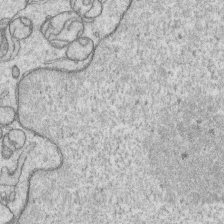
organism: Human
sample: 1205lu cells